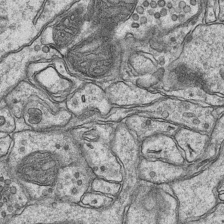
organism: Mouse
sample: CA1 Hippocampus